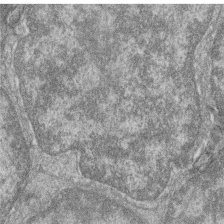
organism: Zebrafish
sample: Cilia; retinal pigment epithelium